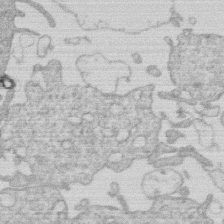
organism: Human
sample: Macrophage cells